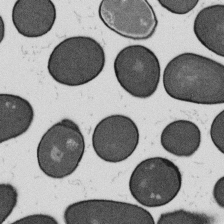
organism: B. subtilis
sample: Bacterial spore